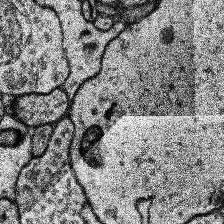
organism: Human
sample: Temporal Lobe